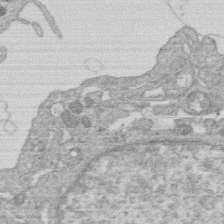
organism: Human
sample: Macrophage cells